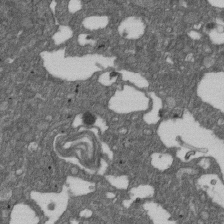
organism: Drosophila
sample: Nephrocyte